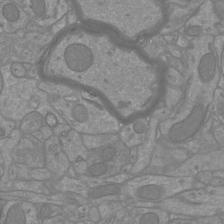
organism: Mouse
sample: Cortical neurons